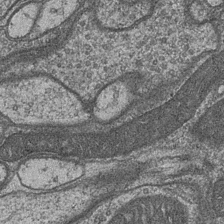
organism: Drosophila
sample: Optic medulla